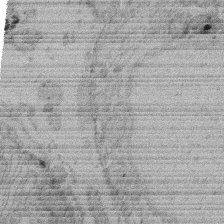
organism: Rat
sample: Salivary granule